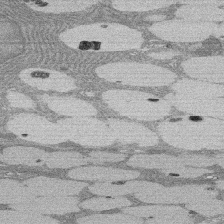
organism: Rat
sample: Salivary granule